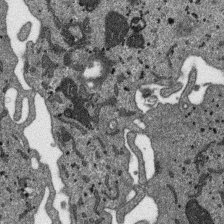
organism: Human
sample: Lung epithelial cells infected with SARS-CoV-2